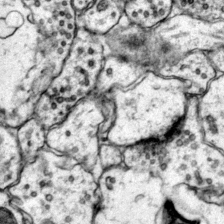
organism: Mouse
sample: Primary visual cortex